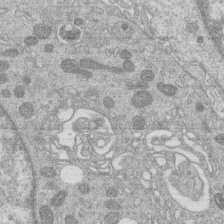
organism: Human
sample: Macrophage cells